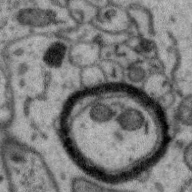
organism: Zebra finch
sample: Brain